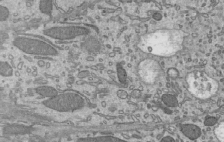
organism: Mouse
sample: Mouse epididymis efferent ductule cilia